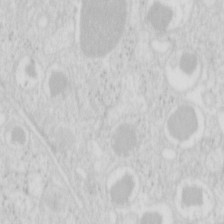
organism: Mouse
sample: Pancreas